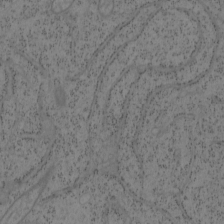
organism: Mouse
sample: OT-I killer T cells with ID8 ovarian cancer cells